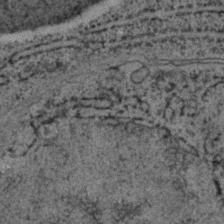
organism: C. elegans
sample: C. elegans embryo